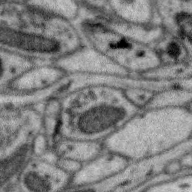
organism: Zebra finch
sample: Brain